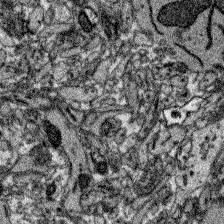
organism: Zebrafish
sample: Larval olfactory bulb